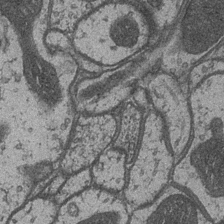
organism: Drosophila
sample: Optic medulla